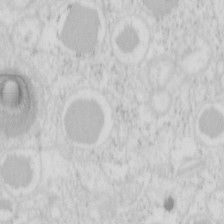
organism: Mouse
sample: Pancreas